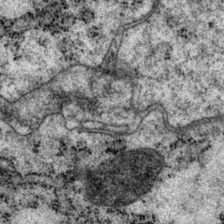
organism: P. pacificus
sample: Pharynx